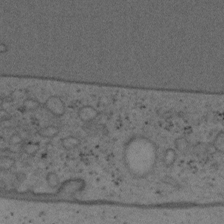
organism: Human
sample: HeLa cells